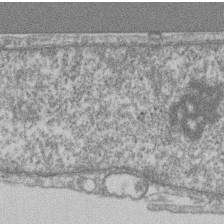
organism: Mouse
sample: T cell stromal cell synapse